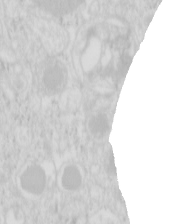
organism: Mouse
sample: Pancreas